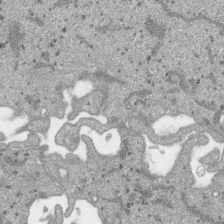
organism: Human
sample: Lung epithelial cells infected with SARS-CoV-2